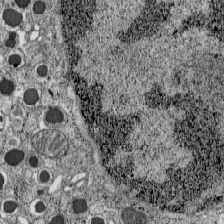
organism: C57BL Mouse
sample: Pancreatic islet